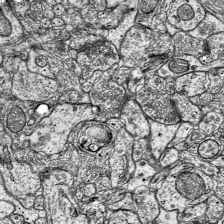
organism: Mouse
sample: Visual Cortex